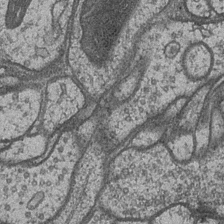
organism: Drosophila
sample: Optic medulla